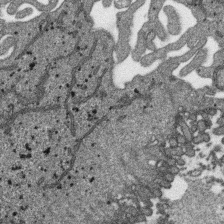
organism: Human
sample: Lung epithelial cells infected with SARS-CoV-2